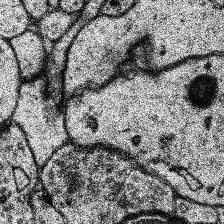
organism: Human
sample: Temporal Lobe